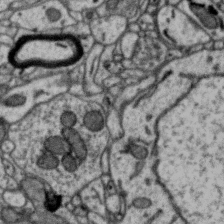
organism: Zebra finch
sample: Brain